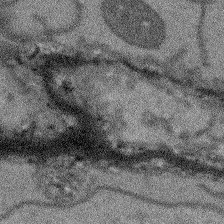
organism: Arabidopsis thaliana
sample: Root tip